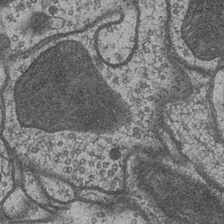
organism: Drosophila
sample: Optic medulla